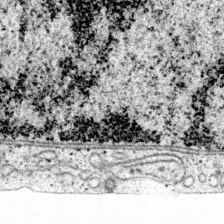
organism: Human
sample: HeLa cells